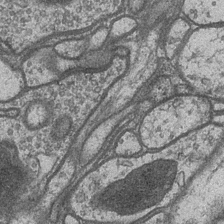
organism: Drosophila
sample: Optic medulla